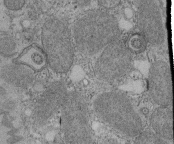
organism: Tetrahymena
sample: Cilia in tetrahymena